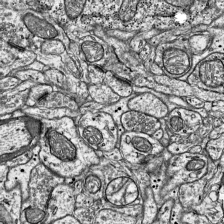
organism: Mouse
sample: Visual Cortex